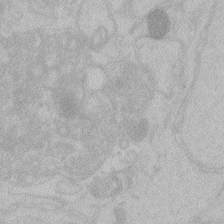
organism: Zebrafish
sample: Macrophage infected with Toxoplasma gondii